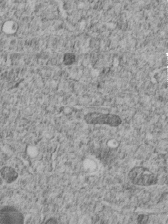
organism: C. elegans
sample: C. elegans embryo early stage